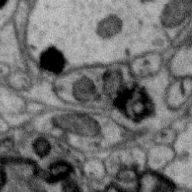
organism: Zebra finch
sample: Brain